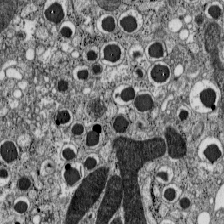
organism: C57BL Mouse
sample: Pancreatic islet